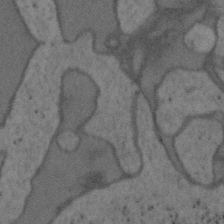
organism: Human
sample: HeLa cells